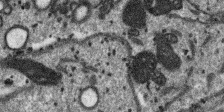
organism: Human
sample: Lung epithelial cells infected with SARS-CoV-2